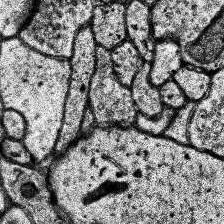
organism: Human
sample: Temporal Lobe